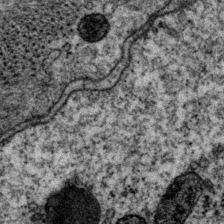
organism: P. pacificus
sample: Pharynx